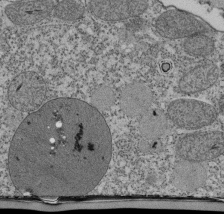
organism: Tetrahymena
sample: Cilia in tetrahymena